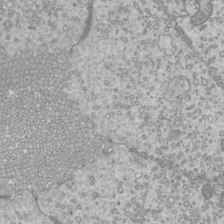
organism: Mouse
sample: Cilia; mouse epididymis